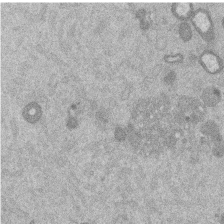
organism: Mouse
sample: Dividing mouse embryo 1 cell stage